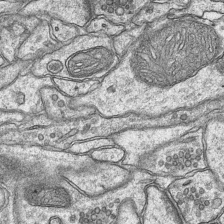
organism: Mouse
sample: CA1 Hippocampus